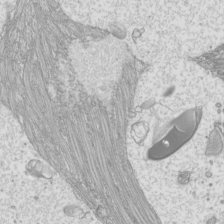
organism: Mouse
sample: Cilia; mouse epididymis